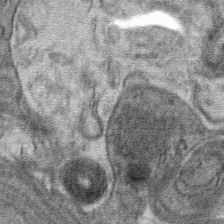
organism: Mouse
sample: Mouse hepatocytes